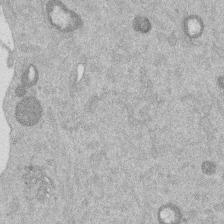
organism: Mouse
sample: Dividing mouse embryo 1 cell stage